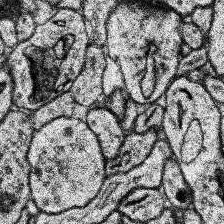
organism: Human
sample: Temporal Lobe